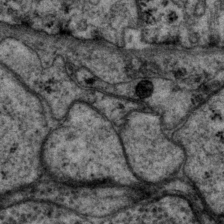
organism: P. pacificus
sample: Pharynx